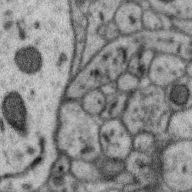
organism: Zebra finch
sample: Brain